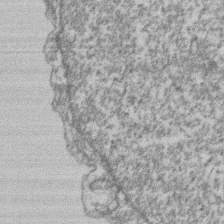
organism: Mouse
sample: T cell stromal cell synapse